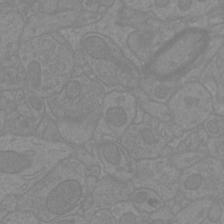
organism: Mouse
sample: Cortical neurons